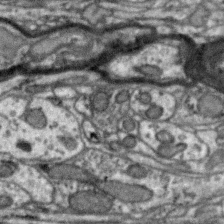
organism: Zebra finch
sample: Brain